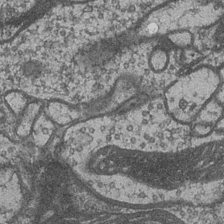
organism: Drosophila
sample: Optic medulla